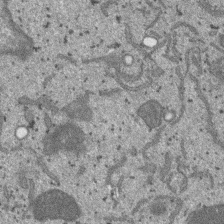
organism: Human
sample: Lung epithelial cells infected with SARS-CoV-2